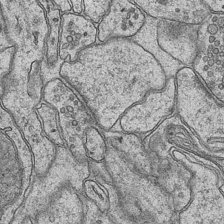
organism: Mouse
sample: CA1 Hippocampus